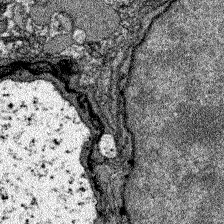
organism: Zebrafish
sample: Larval olfactory bulb